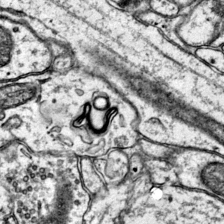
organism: Mouse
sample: Primary visual cortex